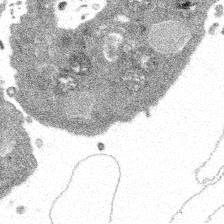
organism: Spongilla lacustris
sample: Multiple